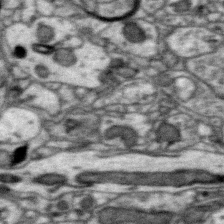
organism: Zebra finch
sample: Brain